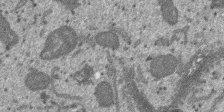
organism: Human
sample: Lung epithelial cells infected with SARS-CoV-2